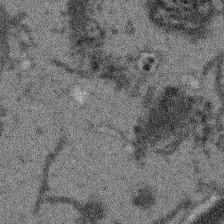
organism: Arabidopsis thaliana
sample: Root tip